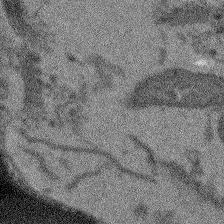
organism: Arabidopsis thaliana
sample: Root tip